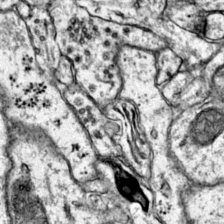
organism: Mouse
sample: Primary visual cortex